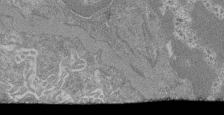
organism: Mouse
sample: Glomerulus